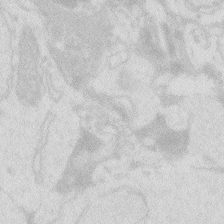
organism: Zebrafish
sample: Macrophage